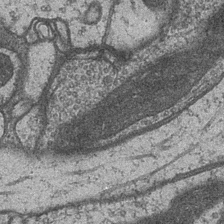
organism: Drosophila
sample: Optic medulla